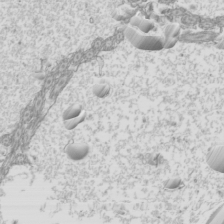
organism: Mouse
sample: Cilia; mouse epididymis